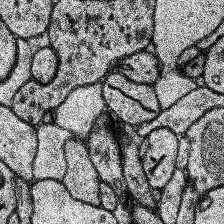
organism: Human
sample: Temporal Lobe